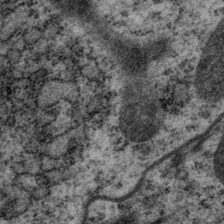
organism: P. pacificus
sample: Pharynx